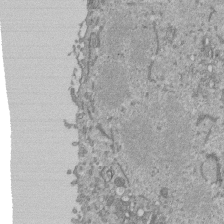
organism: Mouse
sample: ED-1 cell nuclei; centrioles